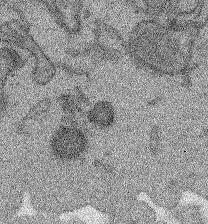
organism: Human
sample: HeLa cells